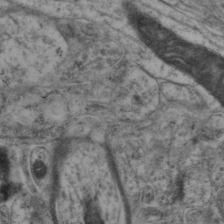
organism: Mouse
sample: Neocortex